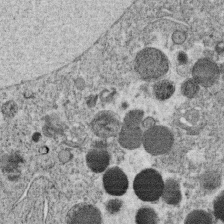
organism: C. elegans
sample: C. elegans oocyte; sperm cells